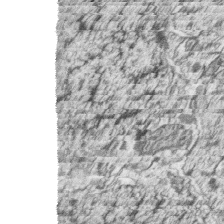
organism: Zebrafish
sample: synaptic ribbons in rod cells and cone cells